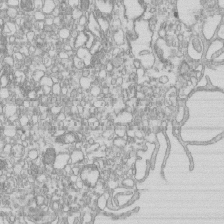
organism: Mouse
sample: Macrophages